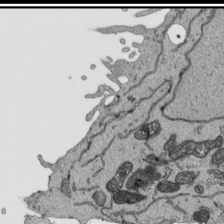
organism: Human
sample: Mitochondria in HCT116 cells